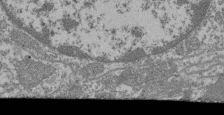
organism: Mouse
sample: Glomerulus